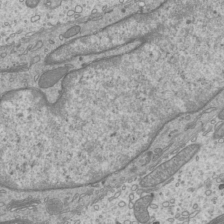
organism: Mouse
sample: Cilia; mouse epididymis